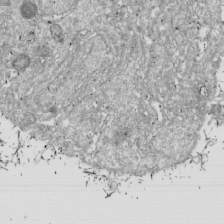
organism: Drosophila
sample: Cell division; meiosis; drosophila spermatocytes